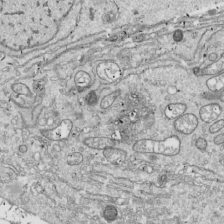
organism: Drosophila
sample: Cell division; meiosis; drosophila spermatocytes